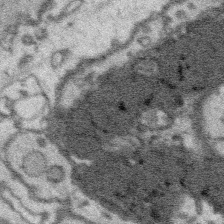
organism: Platynereis dumerilii